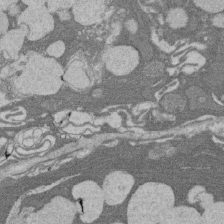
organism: Rat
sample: Salivary granule